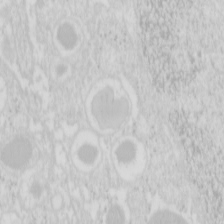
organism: Mouse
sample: Pancreas